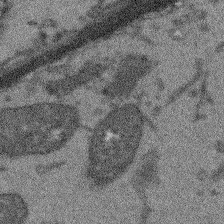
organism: Arabidopsis thaliana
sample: Root tip